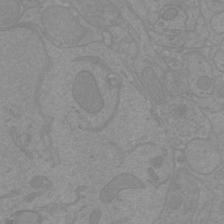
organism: Mouse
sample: Cortical neurons